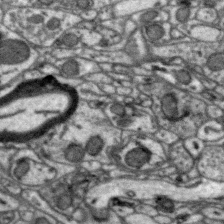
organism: Zebra finch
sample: Brain